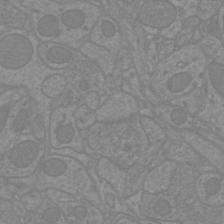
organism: Mouse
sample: Cortical neurons